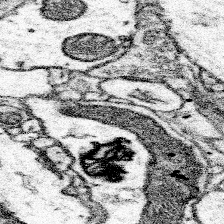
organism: Mouse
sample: Somatosensory cortex neuropil